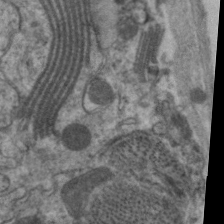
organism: C. elegans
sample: Pharynx